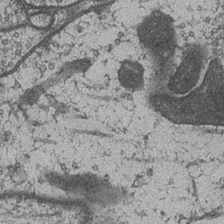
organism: Drosophila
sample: Optic medulla